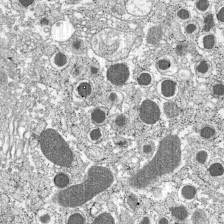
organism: C57BL Mouse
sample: Pancreatic islet